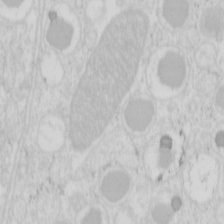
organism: Mouse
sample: Pancreas